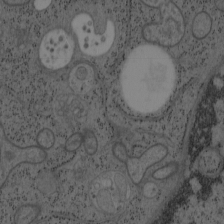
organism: Mouse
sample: OT-I killer T cells with ID8 ovarian cancer cells